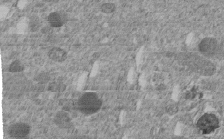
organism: C. elegans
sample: C. elegans embryo early stage